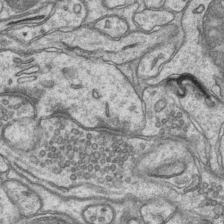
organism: Mouse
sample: CA1 Hippocampus